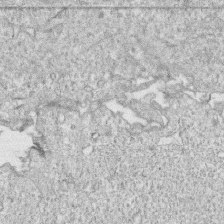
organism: Human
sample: HeLa cell HIV synapse